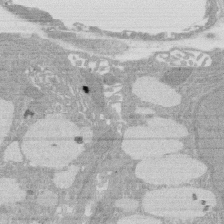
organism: Rat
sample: Salivary granule